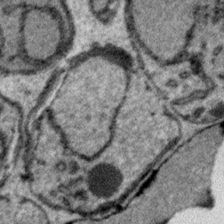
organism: Plasmodium falciparum